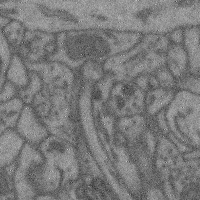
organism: Mouse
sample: Cerebral cortex